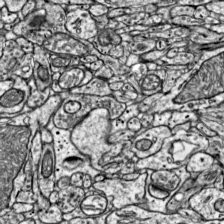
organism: Mouse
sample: Visual Cortex